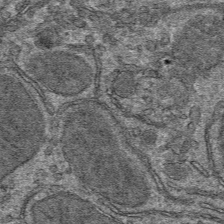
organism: Mouse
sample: Mouse hepatocytes